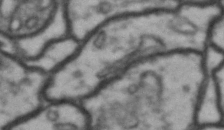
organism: Drosophila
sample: Brain